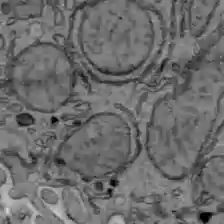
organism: C57BL Mouse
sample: Liver